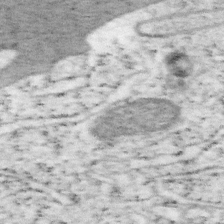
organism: Mouse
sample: OT-I killer T cells with ID8 ovarian cancer cells